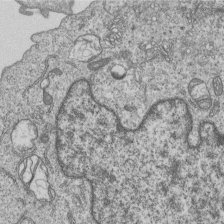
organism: Human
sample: MDA-MB-231 cells